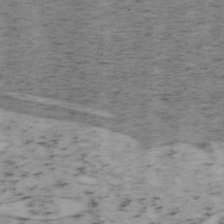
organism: Mouse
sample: OT-I killer T cells with ID8 ovarian cancer cells